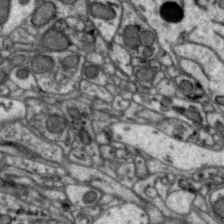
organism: Zebra finch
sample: Brain